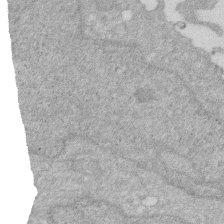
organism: Human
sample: HIV infected U937 cells